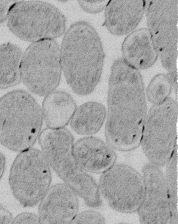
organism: E. coli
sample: Bacterial nucleoid